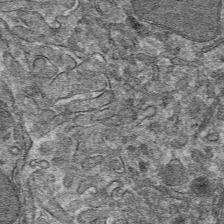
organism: Mouse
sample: Mouse hepatocytes